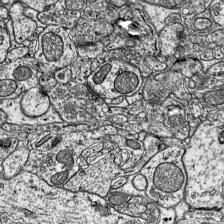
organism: Mouse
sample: Visual Cortex